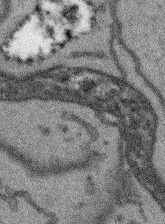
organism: Arabidopsis thaliana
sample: Root tip